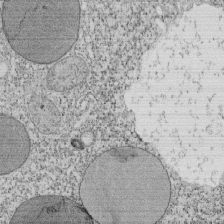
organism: Tetrahymena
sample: Cilia in tetrahymena